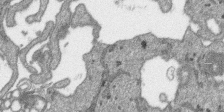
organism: Human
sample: Lung epithelial cells infected with SARS-CoV-2